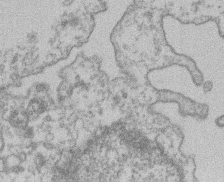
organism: Mouse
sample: T cell stromal cell synapse